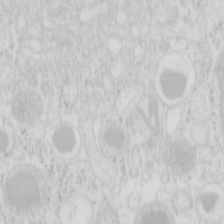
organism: Mouse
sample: Pancreas